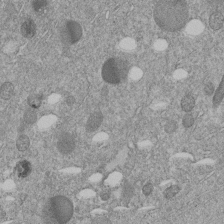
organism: C. elegans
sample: C. elegans embryo early stage